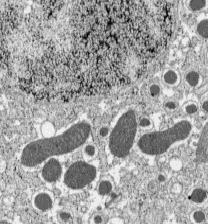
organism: C57BL Mouse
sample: Pancreatic islet